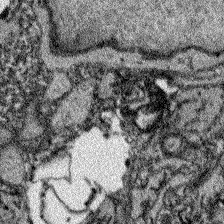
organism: Zebrafish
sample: Larval olfactory bulb